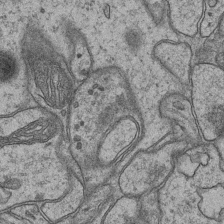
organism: Mouse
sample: CA1 Hippocampus